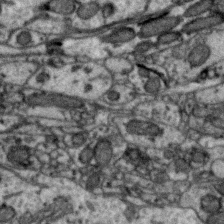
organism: Zebra finch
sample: Brain